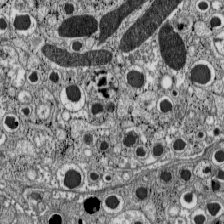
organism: C57BL Mouse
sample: Pancreatic islet